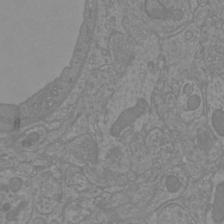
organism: Mouse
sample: Cortical neurons